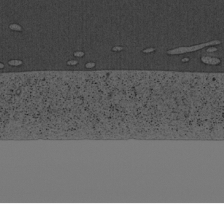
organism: African green monkey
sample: COS-7 cells